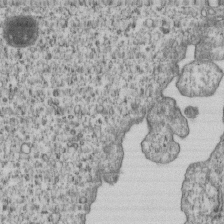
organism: Human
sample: MDA-MB-231 cells